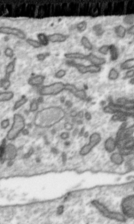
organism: Toxoplasma gondii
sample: Parasites in a vacuole inside a host cell